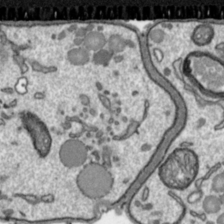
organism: Toxoplasma gondii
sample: Parasites in a vacuole inside a host cell